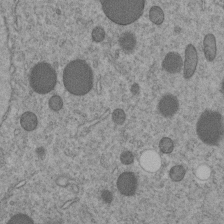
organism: C. elegans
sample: C. elegans embryo early stage